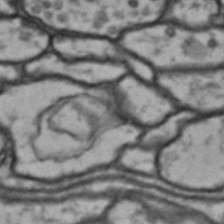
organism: Drosophila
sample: Brain